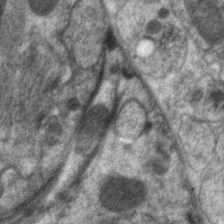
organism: C. elegans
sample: Pharynx